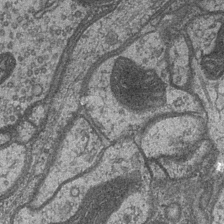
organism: Drosophila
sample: Optic medulla